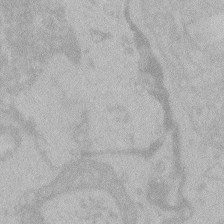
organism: Zebrafish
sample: Macrophage infected with Toxoplasma gondii